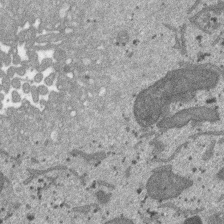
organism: Human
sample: Lung epithelial cells infected with SARS-CoV-2